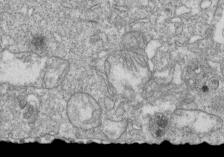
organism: Human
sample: HeLa cell HIV synapse